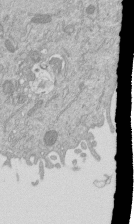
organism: Mouse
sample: ED-1 cell nuclei; centrioles